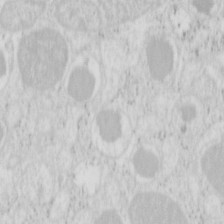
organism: Mouse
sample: Pancreas